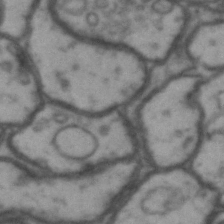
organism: Drosophila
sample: Brain